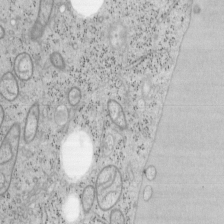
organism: Mouse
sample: OT-I killer T cells with ID8 ovarian cancer cells